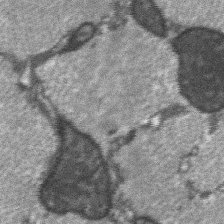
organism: C57BL Mouse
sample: Soleus